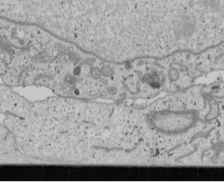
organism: Human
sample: Mitochondria in U2OS cells